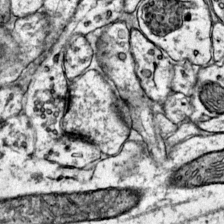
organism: Mouse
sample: Primary visual cortex